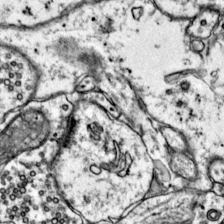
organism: Mouse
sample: Primary visual cortex